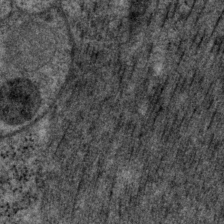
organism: P. pacificus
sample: Pharynx